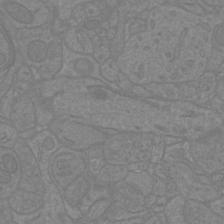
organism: Mouse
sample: Cortical neurons